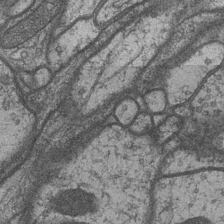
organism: Drosophila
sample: Optic medulla